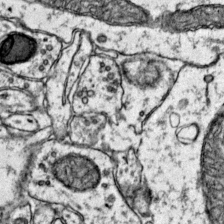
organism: Mouse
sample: Primary visual cortex